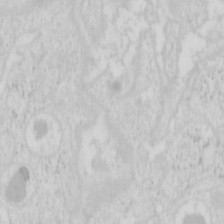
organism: Mouse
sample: Pancreas